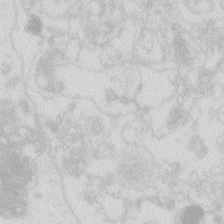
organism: Zebrafish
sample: Macrophage